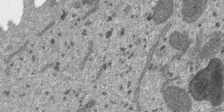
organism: Human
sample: Lung epithelial cells infected with SARS-CoV-2